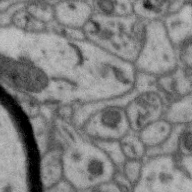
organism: Zebra finch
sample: Brain